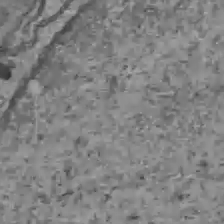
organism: C57BL Mouse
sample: Liver